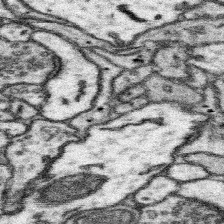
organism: Mouse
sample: Somatosensory cortex neuropil